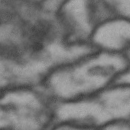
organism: Drosophila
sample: Brain